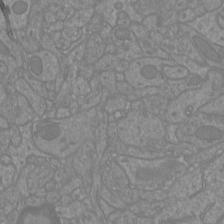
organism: Mouse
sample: Cortical neurons